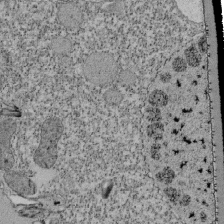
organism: Tetrahymena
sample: Cilia in tetrahymena